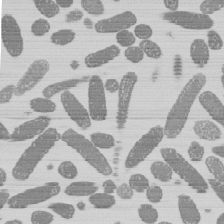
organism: E. coli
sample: Bacterial nucleoid